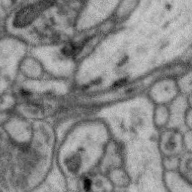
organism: Zebra finch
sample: Brain